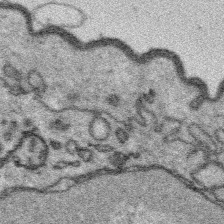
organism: Platynereis dumerilii